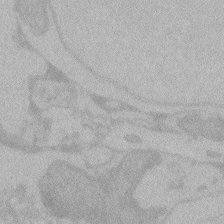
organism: Zebrafish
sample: Macrophage infected with Toxoplasma gondii